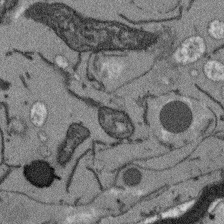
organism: Arabidopsis thaliana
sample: Root tip